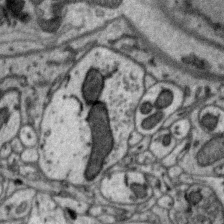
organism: Zebra finch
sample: Brain